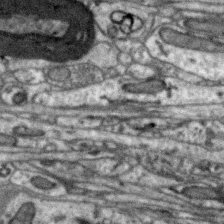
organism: Zebra finch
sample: Brain